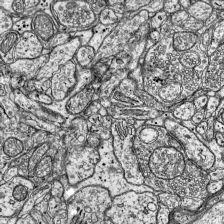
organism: Mouse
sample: Visual Cortex